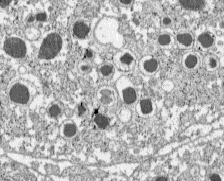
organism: C57BL Mouse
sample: Pancreatic islet